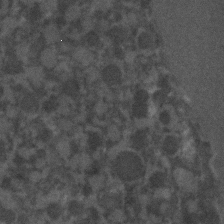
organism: C. elegans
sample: C. elegans embryo